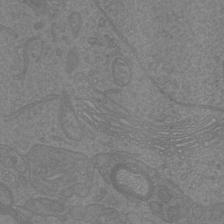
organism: Mouse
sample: Cortical neurons